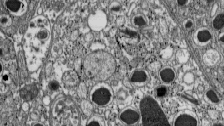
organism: C57BL Mouse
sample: Pancreatic islet